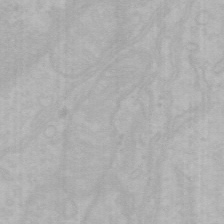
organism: Mouse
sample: Choroid plexus